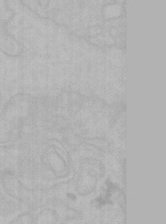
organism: Mouse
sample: Choroid plexus